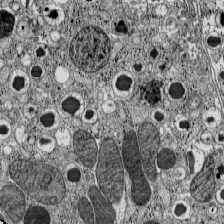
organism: C57BL Mouse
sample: Pancreatic islet